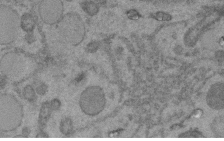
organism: C. elegans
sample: C. elegans embryo early stage